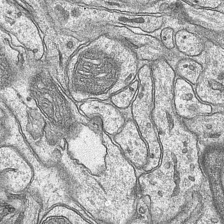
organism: Mouse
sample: CA1 Hippocampus